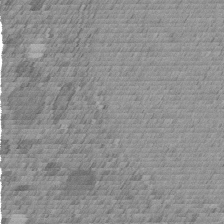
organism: C. elegans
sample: C. elegans embryo early stage